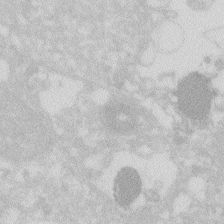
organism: Zebrafish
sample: Macrophage